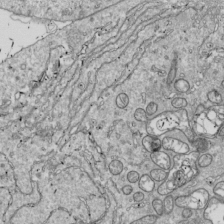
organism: Drosophila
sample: Cell division; meiosis; drosophila spermatocytes